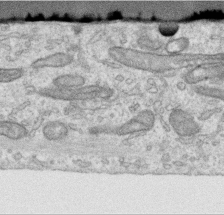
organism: Human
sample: Centriole in RPE cells